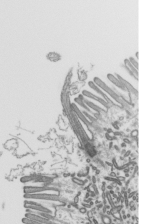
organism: Mouse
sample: Mouse epididymis efferent ductule cilia